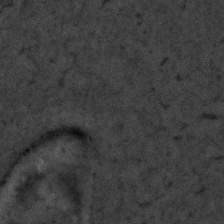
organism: C. elegans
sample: C. elegans embryo